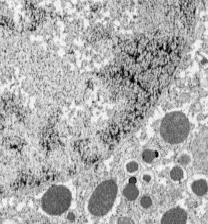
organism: C57BL Mouse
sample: Pancreatic islet